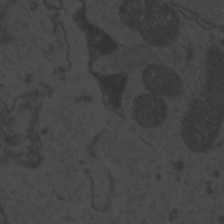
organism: Zebrafish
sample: Macrophage infected with Toxoplasma gondii